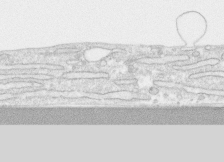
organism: Human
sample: CRL-1474